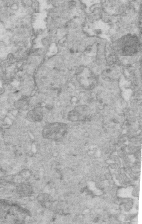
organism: Mouse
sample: Multiciliated cells